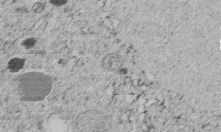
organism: C. elegans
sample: C. elegans embryo early stage